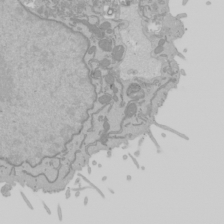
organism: Mouse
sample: Cancer cell death in ED-1 cells